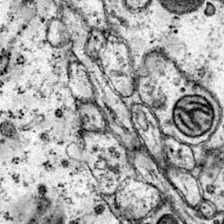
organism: Mouse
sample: Primary visual cortex